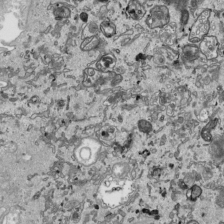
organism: Human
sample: Mitochondria in HCT116 cells